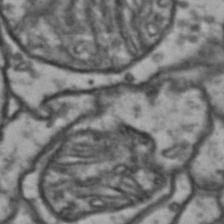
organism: Drosophila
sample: Brain